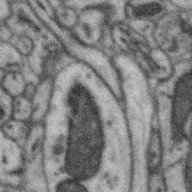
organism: Zebra finch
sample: Brain